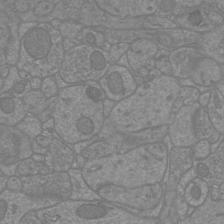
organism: Mouse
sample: Cortical neurons